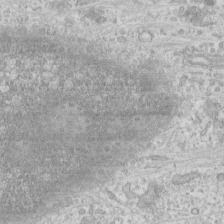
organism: Human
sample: CRL-1474